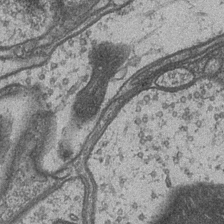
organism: Drosophila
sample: Optic medulla